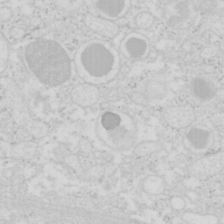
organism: Mouse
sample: Pancreas